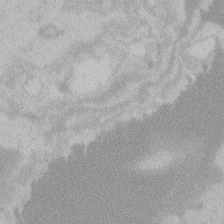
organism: Zebrafish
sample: Macrophage infected with Toxoplasma gondii